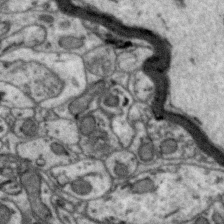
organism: Zebra finch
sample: Brain